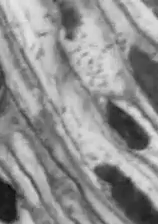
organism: Drosophila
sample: Optic lobe